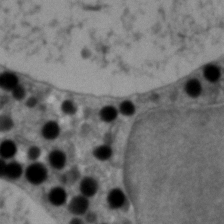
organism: Zebrafish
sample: Zebrafish embryo